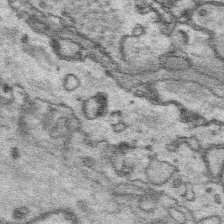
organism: Platynereis dumerilii